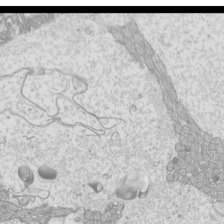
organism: Mouse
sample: Cilia; mouse epididymis